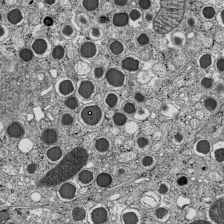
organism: C57BL Mouse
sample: Pancreatic islet